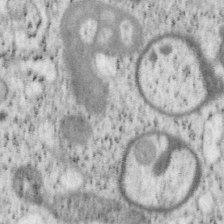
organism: Mouse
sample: OT-I killer T cells with ID8 ovarian cancer cells